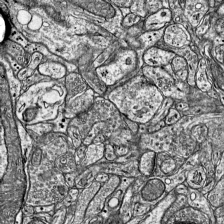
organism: Mouse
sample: Visual Cortex